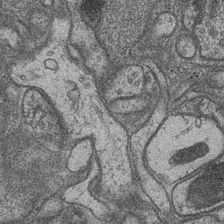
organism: Drosophila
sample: Optic medulla